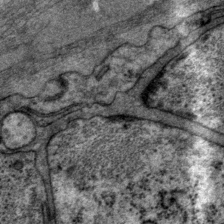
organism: P. pacificus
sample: Pharynx